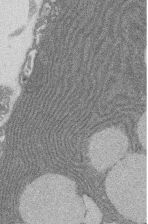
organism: Rat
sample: Salivary granule